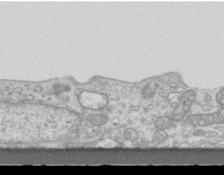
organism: Mouse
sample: Centriole in ependymal cells